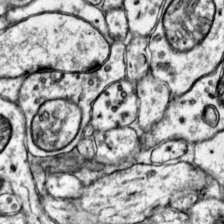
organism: Mouse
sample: Primary visual cortex